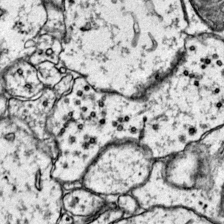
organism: Mouse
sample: Primary visual cortex